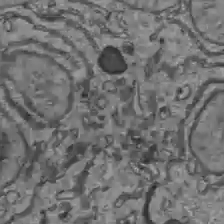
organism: C57BL Mouse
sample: Liver